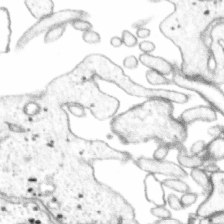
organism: Human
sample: HeLa cells